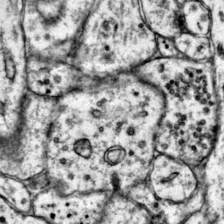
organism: Mouse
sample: Primary visual cortex